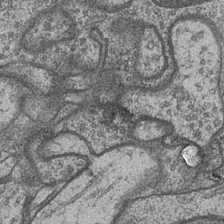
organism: Drosophila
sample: Optic medulla